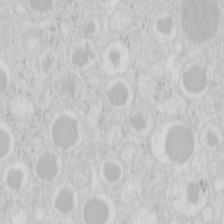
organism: Mouse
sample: Pancreas